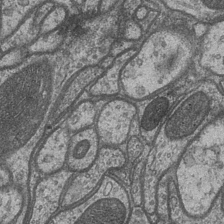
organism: Drosophila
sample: Optic medulla